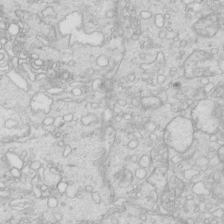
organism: Mouse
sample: Multiciliated cells